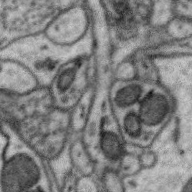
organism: Zebra finch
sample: Brain